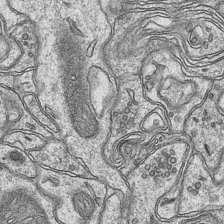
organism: Mouse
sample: CA1 Hippocampus